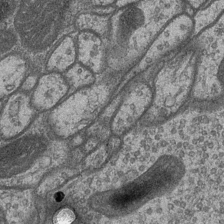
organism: Drosophila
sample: Optic medulla